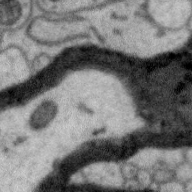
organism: Zebra finch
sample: Brain